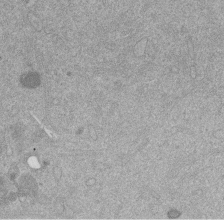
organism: Mouse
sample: Dividing mouse embryo 1 cell stage